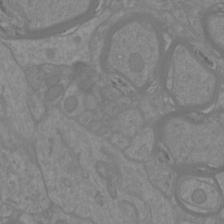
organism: Mouse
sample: Cortical neurons